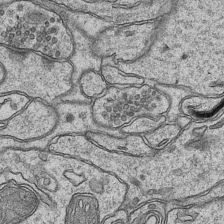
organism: Mouse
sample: CA1 Hippocampus